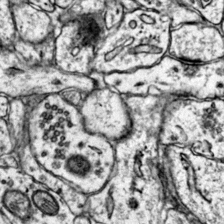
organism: Mouse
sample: Primary visual cortex